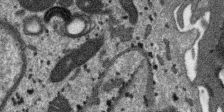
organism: Human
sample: Lung epithelial cells infected with SARS-CoV-2